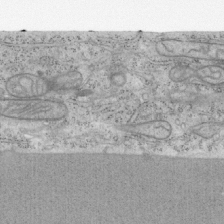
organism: Human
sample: HeLa cells